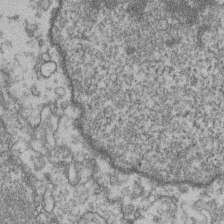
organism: Mouse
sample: T cell stromal cell synapse